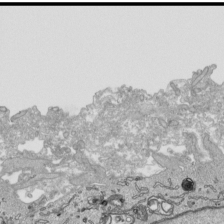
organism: Human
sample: Mitochondria in HCT116 cells